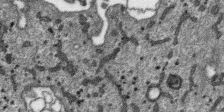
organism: Human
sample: Lung epithelial cells infected with SARS-CoV-2